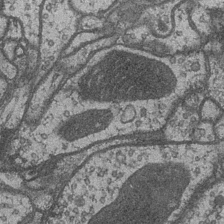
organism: Drosophila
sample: Optic medulla